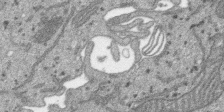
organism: Human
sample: Lung epithelial cells infected with SARS-CoV-2